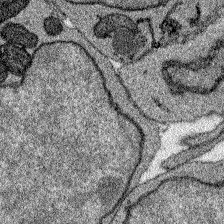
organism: Zebrafish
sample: Larval olfactory bulb